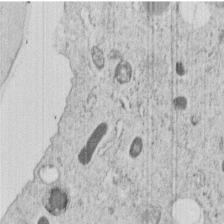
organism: C. elegans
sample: C. elegans embryo early stage